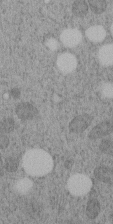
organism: C. elegans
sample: C. elegans embryo early stage